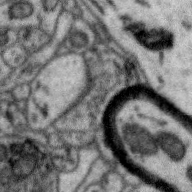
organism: Zebra finch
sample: Brain